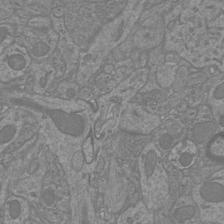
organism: Mouse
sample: Cortical neurons